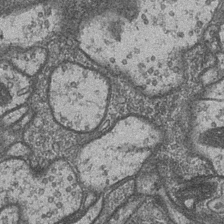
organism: Drosophila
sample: Optic medulla